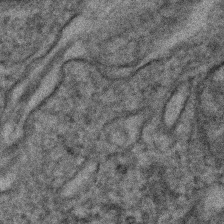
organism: Human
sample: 1205lu cells